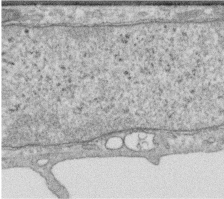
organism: Human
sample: Centriole in RPE cells